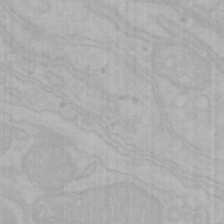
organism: Mouse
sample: Choroid plexus